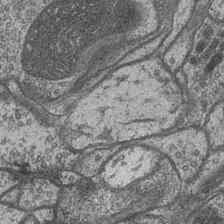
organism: Drosophila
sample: Optic medulla